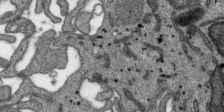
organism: Human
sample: Lung epithelial cells, uninfected (mock) control